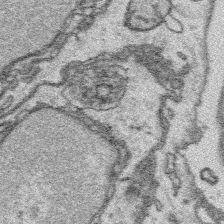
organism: Platynereis dumerilii